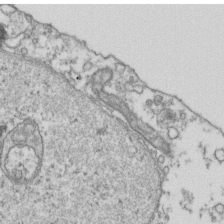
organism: Human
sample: Activated Jurkat CD4+ T cells